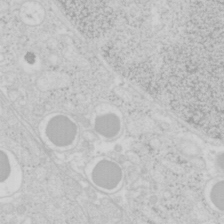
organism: Mouse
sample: Pancreas